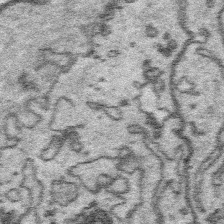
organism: Platynereis dumerilii